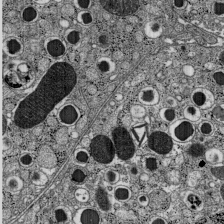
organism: C57BL Mouse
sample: Pancreatic islet